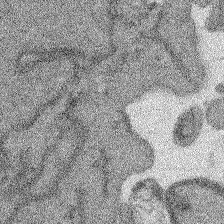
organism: Human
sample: HeLa cells